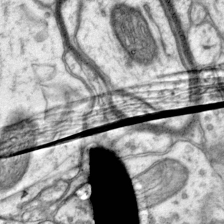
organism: Mouse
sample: Primary visual cortex